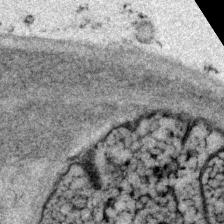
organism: P. pacificus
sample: Pharynx